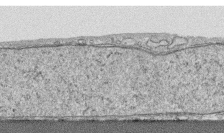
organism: Human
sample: CRL-1474